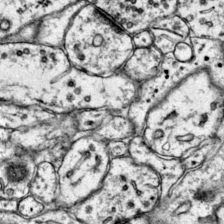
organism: Mouse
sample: Primary visual cortex